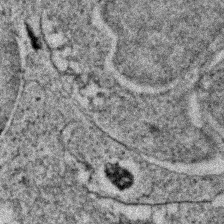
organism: Zebrafish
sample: Zebrafish embryo